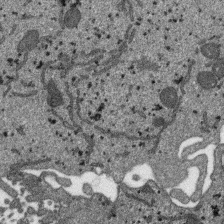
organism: Human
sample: Lung epithelial cells infected with SARS-CoV-2